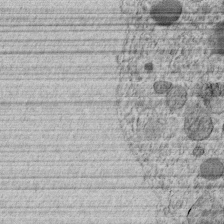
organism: C. elegans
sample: C. elegans embryo early stage